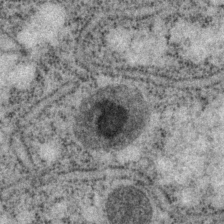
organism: P. pacificus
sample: Pharynx